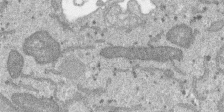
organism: Human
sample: Lung epithelial cells infected with SARS-CoV-2